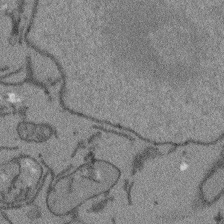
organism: Arabidopsis thaliana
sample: Root tip